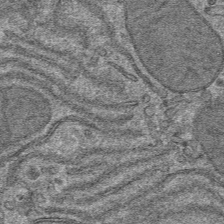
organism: Mouse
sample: Mouse hepatocytes